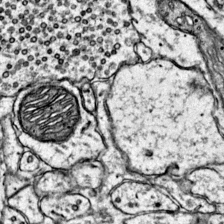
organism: Mouse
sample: Primary visual cortex